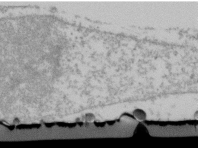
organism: Human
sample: U2-OS cells